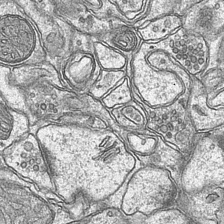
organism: Mouse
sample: CA1 Hippocampus